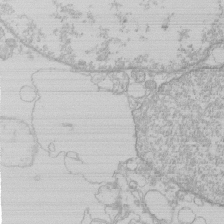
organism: Human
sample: Macrophage cells